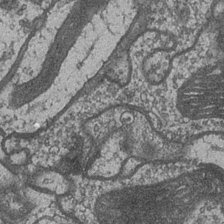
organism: Drosophila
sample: Optic medulla